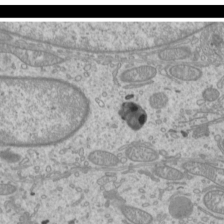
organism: Mouse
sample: Cilia; mouse epididymis